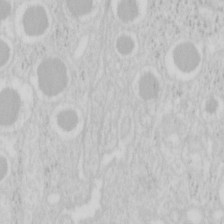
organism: Mouse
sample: Pancreas